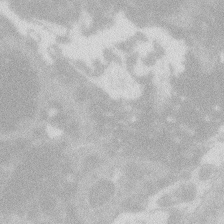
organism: Zebrafish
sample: Macrophage